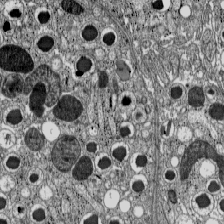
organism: C57BL Mouse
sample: Pancreatic islet